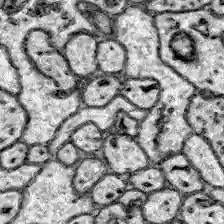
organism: Zebrafish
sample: Brain